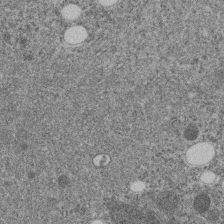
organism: C. elegans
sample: C. elegans embryo early stage